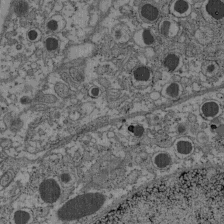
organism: C57BL Mouse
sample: Pancreatic islet